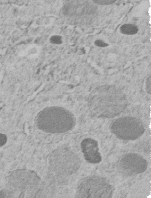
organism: C. elegans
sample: C. elegans embryo early stage